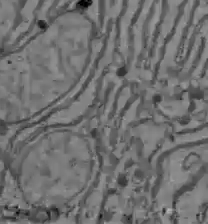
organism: C57BL Mouse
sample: Liver